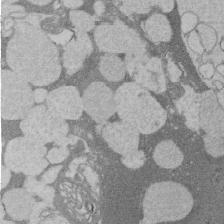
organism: Rat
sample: Salivary granule